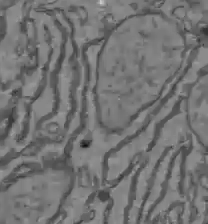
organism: C57BL Mouse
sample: Liver